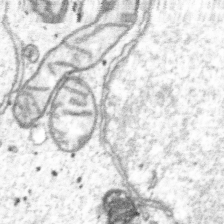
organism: Human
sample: HeLa cells